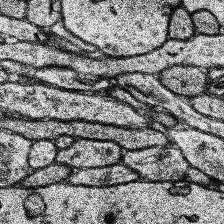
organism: Human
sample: Temporal Lobe